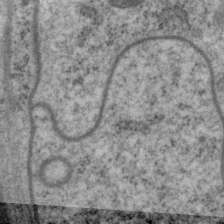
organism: P. pacificus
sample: Pharynx